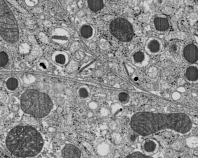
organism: C57BL Mouse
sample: Pancreatic islet